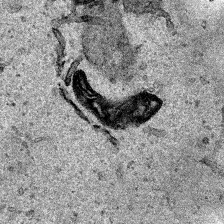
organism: Human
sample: Mitochondria in HCT116 cells